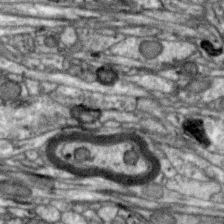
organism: Zebra finch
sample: Brain